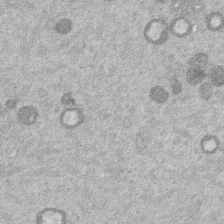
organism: Mouse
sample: Dividing mouse embryo 1 cell stage